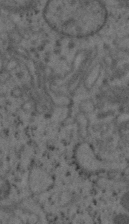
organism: Human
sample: HeLa cells